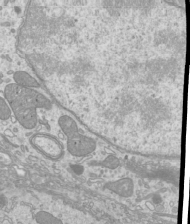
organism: Mouse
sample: Cilia; mouse epididymis